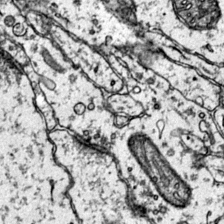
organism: Mouse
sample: Primary visual cortex